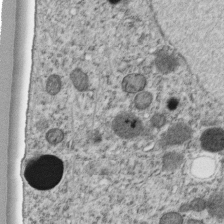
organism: C. elegans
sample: C. elegans embryo early stage